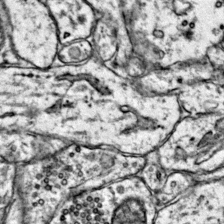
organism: Mouse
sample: Primary visual cortex